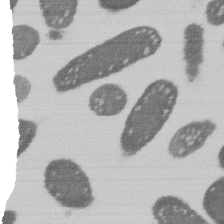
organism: E. coli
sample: Bacterial nucleoid